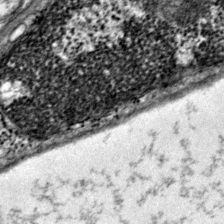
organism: Mouse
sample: Primary visual cortex